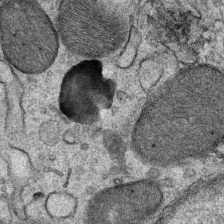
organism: Mouse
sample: Mouse Salivary gland